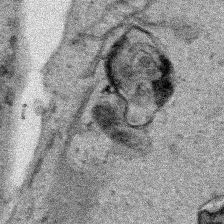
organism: Human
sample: Mitochondria in HCT116 cells